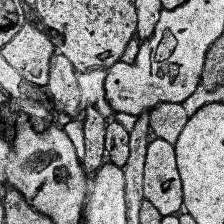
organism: Human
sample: Temporal Lobe